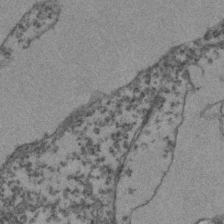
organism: Zebrafish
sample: Zebrafish embryo